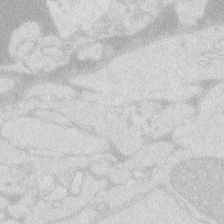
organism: Zebrafish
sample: Macrophage